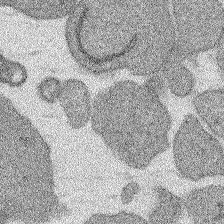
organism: Human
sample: HeLa cells